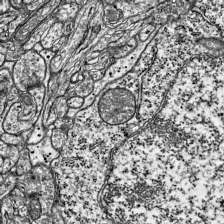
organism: Mouse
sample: Visual Cortex